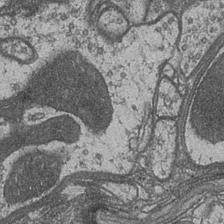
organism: Drosophila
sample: Optic medulla